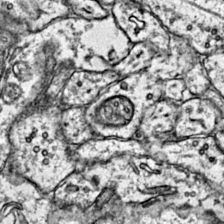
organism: Mouse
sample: Primary visual cortex